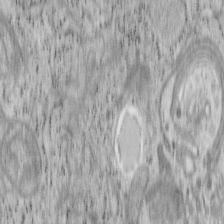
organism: Human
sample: HeLa cells